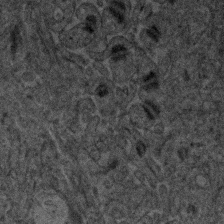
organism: Human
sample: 1205lu cells